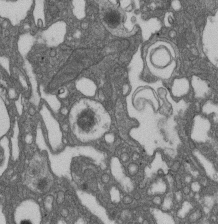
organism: Drosophila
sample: Nephrocyte